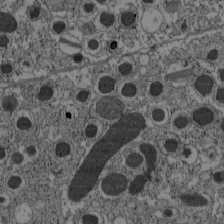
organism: C57BL Mouse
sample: Pancreatic islet